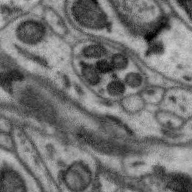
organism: Zebra finch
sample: Brain